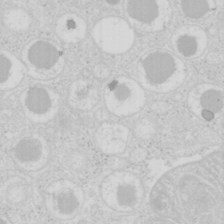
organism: Mouse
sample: Pancreas